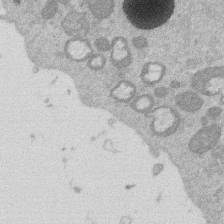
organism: Mouse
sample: Dividing mouse embryo 1 cell stage